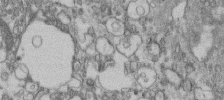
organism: Human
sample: Centriole in fibroblast cells